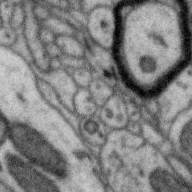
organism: Zebra finch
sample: Brain